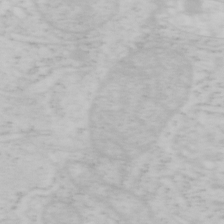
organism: Mouse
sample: OT-I killer T cells with ID8 ovarian cancer cells